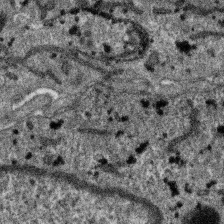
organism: Human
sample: Lung epithelial cells infected with SARS-CoV-2